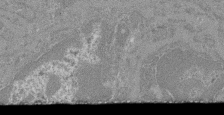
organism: Mouse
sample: Glomerulus